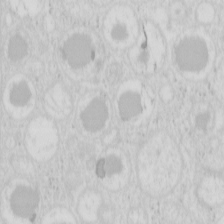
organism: Mouse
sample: Pancreas